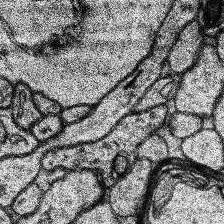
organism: Human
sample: Temporal Lobe